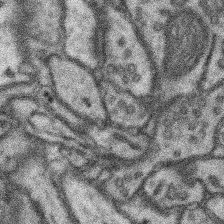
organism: Mouse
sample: Somatosensory cortex neuropil